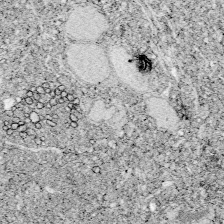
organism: Zebrafish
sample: Whole-Brain